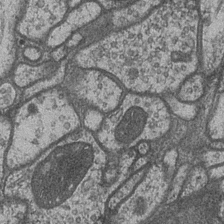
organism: Drosophila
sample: Optic medulla